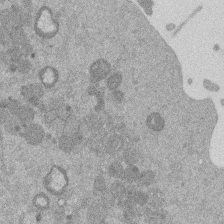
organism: Mouse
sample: Dividing mouse embryo 1 cell stage